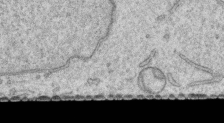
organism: Human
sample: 1205lu cells